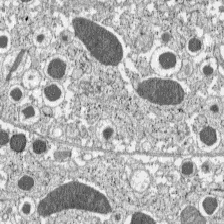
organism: C57BL Mouse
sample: Pancreatic islet